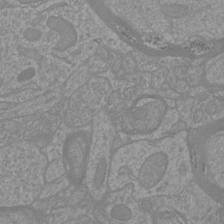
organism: Mouse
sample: Cortical neurons